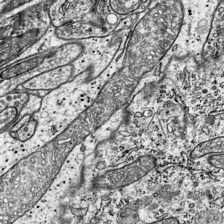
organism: Mouse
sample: Visual Cortex